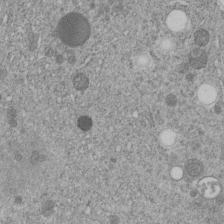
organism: C. elegans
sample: C. elegans embryo early stage